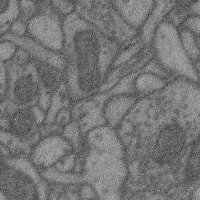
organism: Mouse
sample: Cerebral cortex